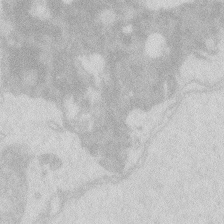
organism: Zebrafish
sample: Macrophage